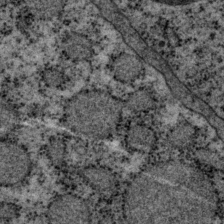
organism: P. pacificus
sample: Pharynx